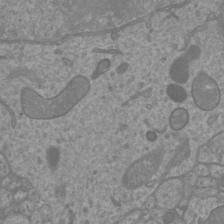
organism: Mouse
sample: Cortical neurons